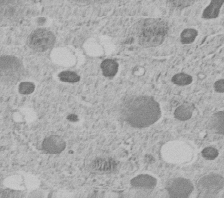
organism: C. elegans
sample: C. elegans embryo early stage